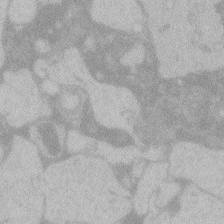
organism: Zebrafish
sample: Macrophage infected with Toxoplasma gondii